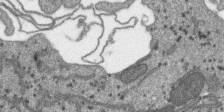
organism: Human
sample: Lung epithelial cells infected with SARS-CoV-2